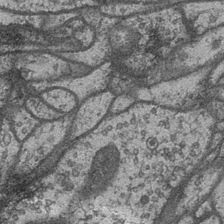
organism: Drosophila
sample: Optic medulla